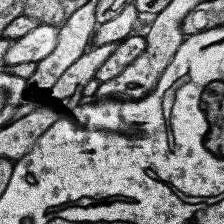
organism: Human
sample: Temporal Lobe